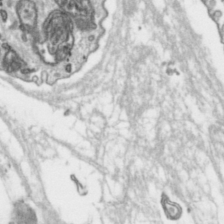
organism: Toxoplasma gondii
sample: Parasites in a vacuole inside a host cell